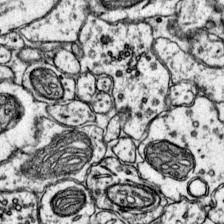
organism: Mouse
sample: Primary visual cortex